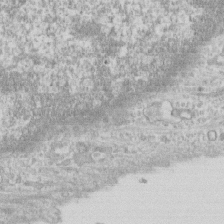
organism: Human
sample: CRL-1474